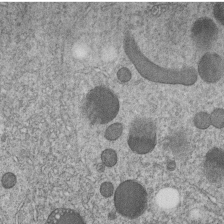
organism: C. elegans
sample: C. elegans embryo early stage